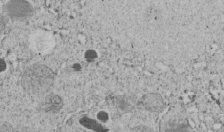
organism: C. elegans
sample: C. elegans embryo early stage